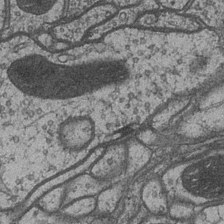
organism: Drosophila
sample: Optic medulla